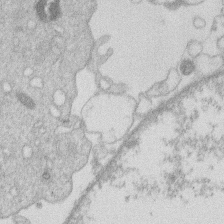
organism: Human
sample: Macrophage cells